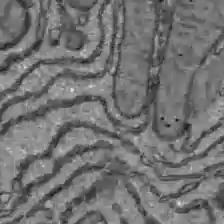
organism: C57BL Mouse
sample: Liver